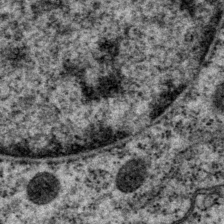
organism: P. pacificus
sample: Pharynx